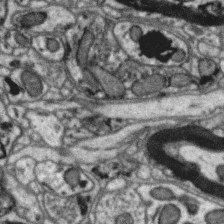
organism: Zebra finch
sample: Brain